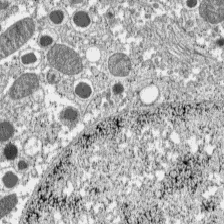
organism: C57BL Mouse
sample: Pancreatic islet